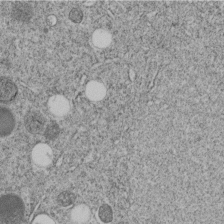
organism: C. elegans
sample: C. elegans embryo early stage